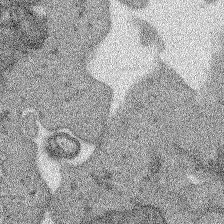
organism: Human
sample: HeLa cells